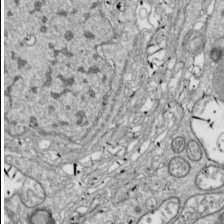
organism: Drosophila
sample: Cell division; meiosis; drosophila spermatocytes